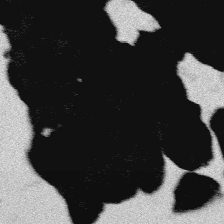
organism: Platynereis dumerilii